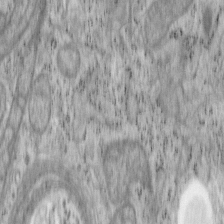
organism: Human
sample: HeLa cells